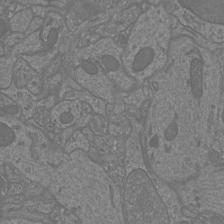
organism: Mouse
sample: Cortical neurons